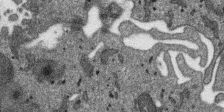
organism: Human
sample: Lung epithelial cells infected with SARS-CoV-2